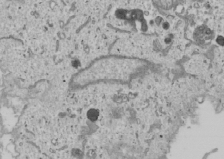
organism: Human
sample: Mitochondria in U2OS cells